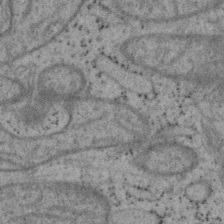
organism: Human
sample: HeLa cells